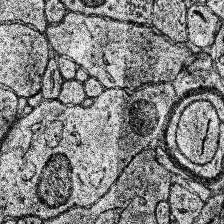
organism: Human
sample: Temporal Lobe